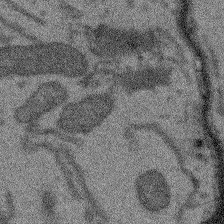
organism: Arabidopsis thaliana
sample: Root tip